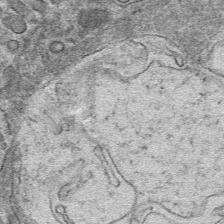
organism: Mouse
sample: Mouse hepatocytes